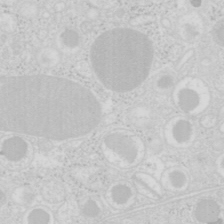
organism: Mouse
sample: Pancreas